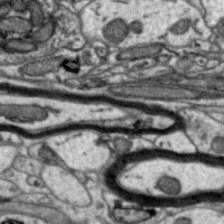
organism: Zebra finch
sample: Brain